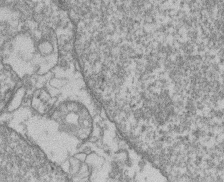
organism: Mouse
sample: T cell stromal cell synapse